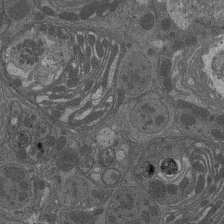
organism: Drosophila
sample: Antenna